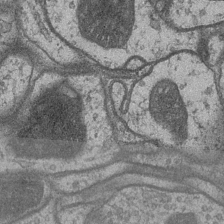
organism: Drosophila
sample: Optic medulla